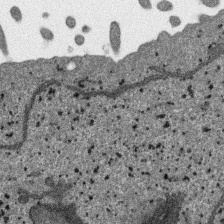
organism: Human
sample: Lung epithelial cells infected with SARS-CoV-2